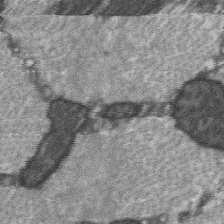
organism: C57BL Mouse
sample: Soleus